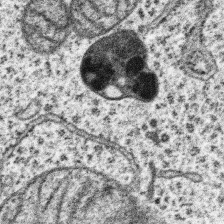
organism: Human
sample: HeLa cells